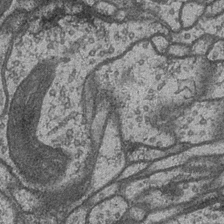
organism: Drosophila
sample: Optic medulla